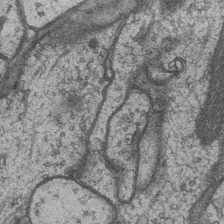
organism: Drosophila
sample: Optic medulla